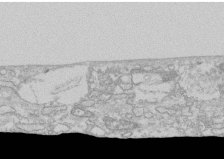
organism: Human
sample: CRL-1474